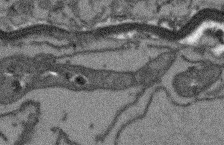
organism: Arabidopsis thaliana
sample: Root tip